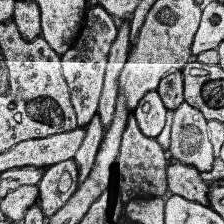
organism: Human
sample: Temporal Lobe